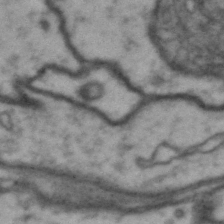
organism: Drosophila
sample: Brain